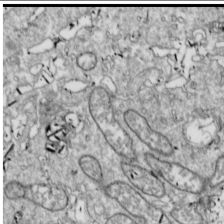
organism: Drosophila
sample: Cell division; meiosis; drosophila spermatocytes